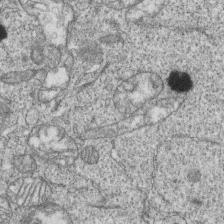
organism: Human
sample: HeLa cell HIV synapse